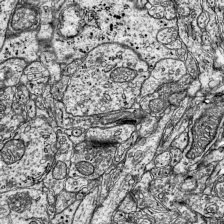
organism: Mouse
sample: Visual Cortex